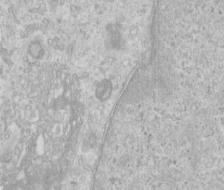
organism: Human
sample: Centriole in RPE cells